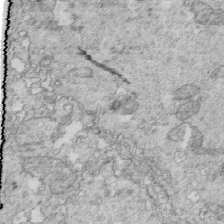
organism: Mouse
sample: Multiciliated cells